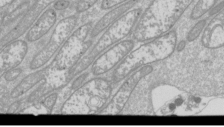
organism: Drosophila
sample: Cell division; meiosis; drosophila spermatocytes